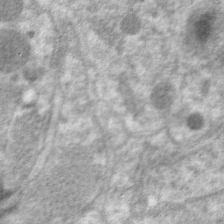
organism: C. elegans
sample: Pharynx